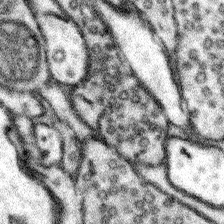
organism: Mouse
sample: Somatosensory cortex neuropil